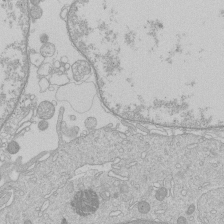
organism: Human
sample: Macrophage cells